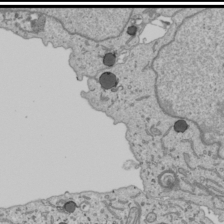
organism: Human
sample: Mitochondria in U2OS cells